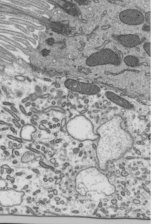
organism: Mouse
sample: Mouse epididymis efferent ductule cilia